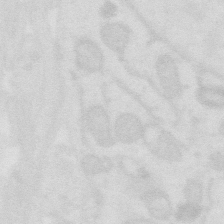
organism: Human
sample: HeLa cells